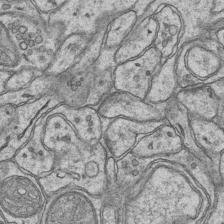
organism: Mouse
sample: CA1 Hippocampus